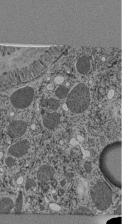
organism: C. elegans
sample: C. elegans pharynx